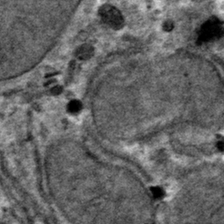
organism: Mouse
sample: Mouse hepatocytes